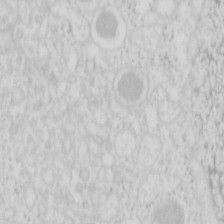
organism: Mouse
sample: Pancreas